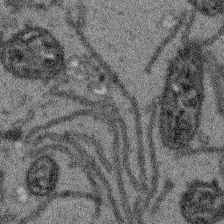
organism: Arabidopsis thaliana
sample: Root tip